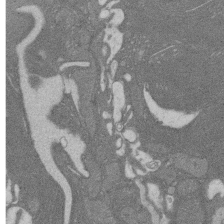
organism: Rat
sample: Salivary granule